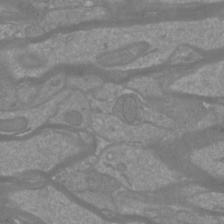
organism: Mouse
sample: Cortical neurons